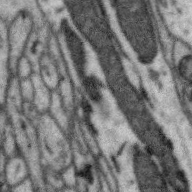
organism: Zebra finch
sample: Brain